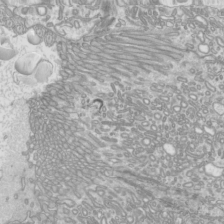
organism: Mouse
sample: Cilia; mouse epididymis